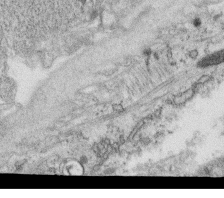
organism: C. elegans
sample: C. elegans oocyte; sperm cells